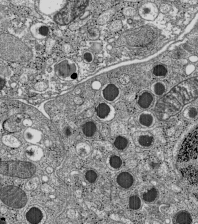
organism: C57BL Mouse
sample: Pancreatic islet